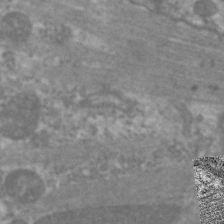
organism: C. elegans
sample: Pharynx